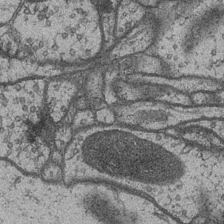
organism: Drosophila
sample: Optic medulla